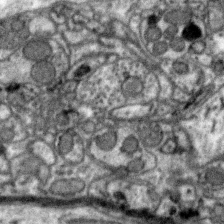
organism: Zebra finch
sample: Brain